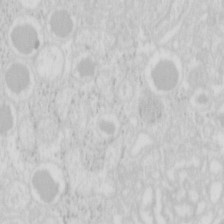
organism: Mouse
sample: Pancreas